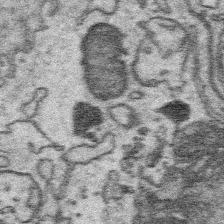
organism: Platynereis dumerilii